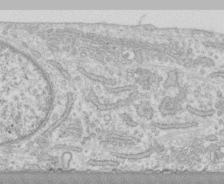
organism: Human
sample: CRL-1474